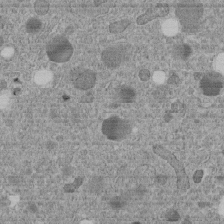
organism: C. elegans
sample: C. elegans embryo early stage